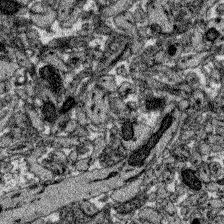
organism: Zebrafish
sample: Larval olfactory bulb